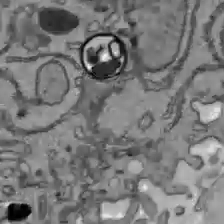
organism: C57BL Mouse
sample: Liver